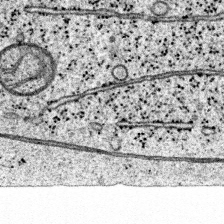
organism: Human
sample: HeLa cells